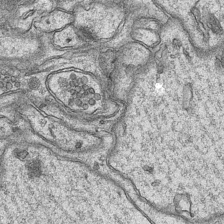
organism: Mouse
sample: CA1 Hippocampus